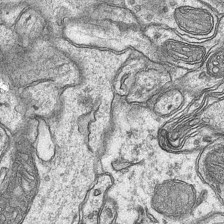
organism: Mouse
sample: CA1 Hippocampus